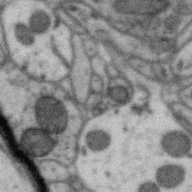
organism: Zebra finch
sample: Brain